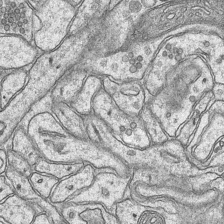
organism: Mouse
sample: CA1 Hippocampus